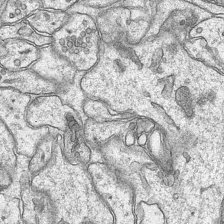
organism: Mouse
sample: CA1 Hippocampus